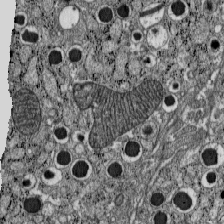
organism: C57BL Mouse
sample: Pancreatic islet